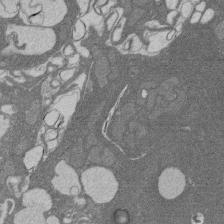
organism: Rat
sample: Salivary granule